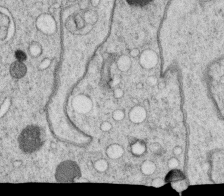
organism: C. elegans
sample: C. elegans oocyte; sperm cells